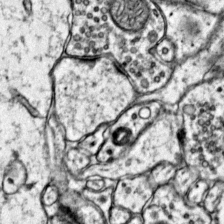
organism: Mouse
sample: Primary visual cortex